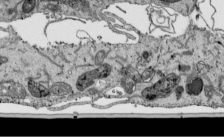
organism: Human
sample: Mitochondria in HCT116 cells